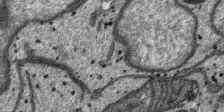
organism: Human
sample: Lung epithelial cells, uninfected (mock) control